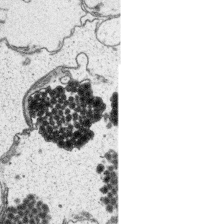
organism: Platynereis dumerilii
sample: Parapodia